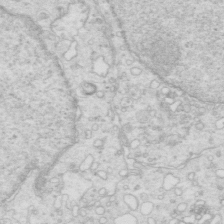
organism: Mouse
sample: Multiciliated cells